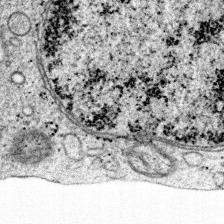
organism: Human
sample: HeLa cells